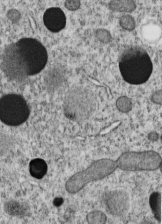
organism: C. elegans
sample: C. elegans embryo early stage